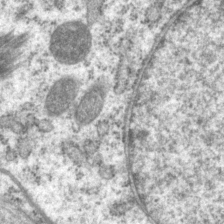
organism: P. pacificus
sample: Pharynx